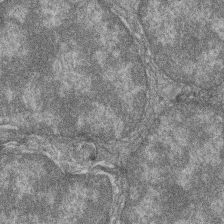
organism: Zebrafish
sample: Cilia; retinal pigment epithelium